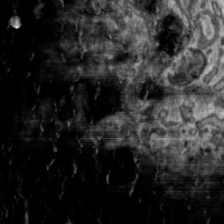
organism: Toxoplasma gondii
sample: Parasites in a vacuole inside a host cell